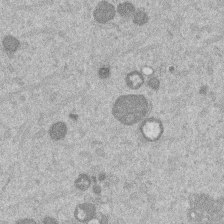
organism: Mouse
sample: Dividing mouse embryo 1 cell stage